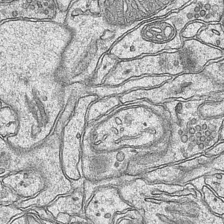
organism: Mouse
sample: CA1 Hippocampus